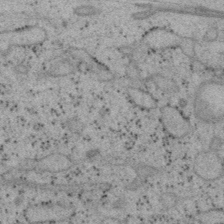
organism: Human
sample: HeLa cells